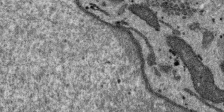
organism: Human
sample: Lung epithelial cells, uninfected (mock) control